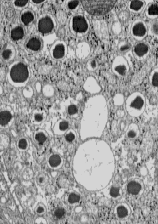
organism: C57BL Mouse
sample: Pancreatic islet